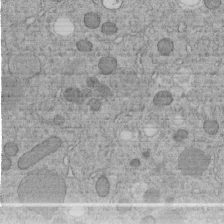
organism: C. elegans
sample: C. elegans embryo early stage